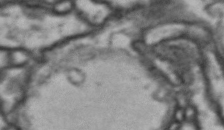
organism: Drosophila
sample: Brain